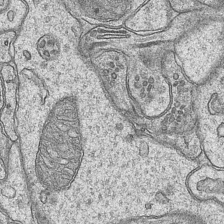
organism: Mouse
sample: CA1 Hippocampus